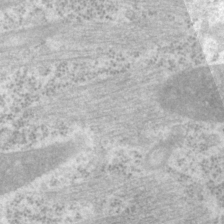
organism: P. pacificus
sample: Pharynx